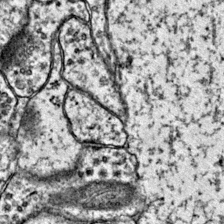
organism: Mouse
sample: Primary visual cortex